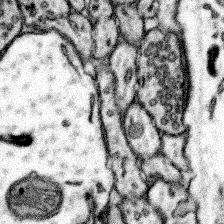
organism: Mouse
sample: Somatosensory cortex neuropil